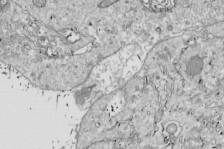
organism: Drosophila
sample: Cell division; meiosis; drosophila spermatocytes